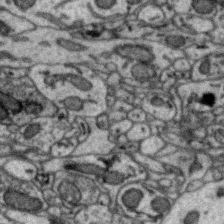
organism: Zebra finch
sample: Brain